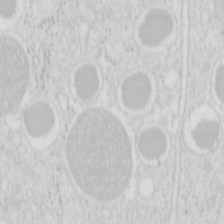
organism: Mouse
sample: Pancreas